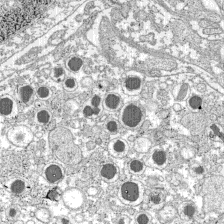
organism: C57BL Mouse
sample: Pancreatic islet